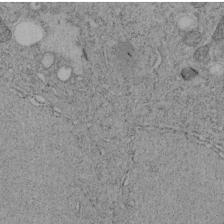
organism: C. elegans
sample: C. elegans embryo early stage